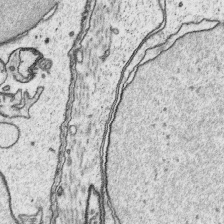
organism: Platynereis dumerilii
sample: Parapodia